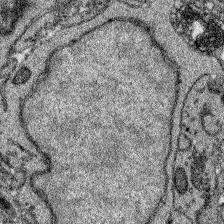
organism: Zebrafish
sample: Larval olfactory bulb